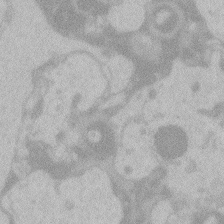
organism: Zebrafish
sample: Macrophage infected with Toxoplasma gondii